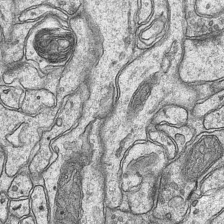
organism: Mouse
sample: CA1 Hippocampus